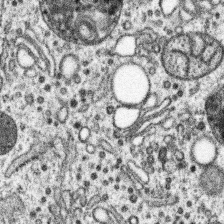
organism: Human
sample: HeLa cells